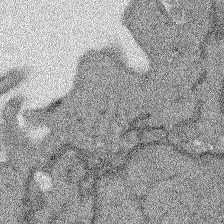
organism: Human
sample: HeLa cells